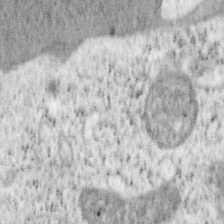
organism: Mouse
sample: OT-I killer T cells with ID8 ovarian cancer cells